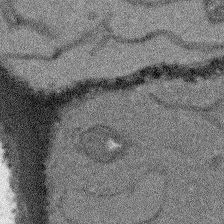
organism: Arabidopsis thaliana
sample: Root tip